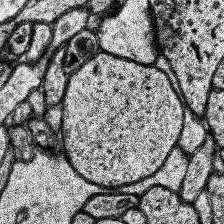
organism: Human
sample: Temporal Lobe